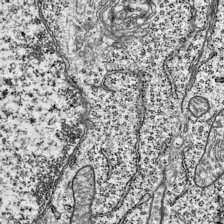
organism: Mouse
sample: Visual Cortex